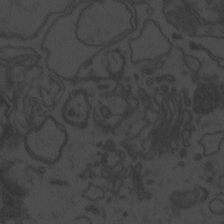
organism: Zebrafish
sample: Macrophage infected with Toxoplasma gondii